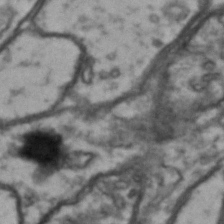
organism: Drosophila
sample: Brain